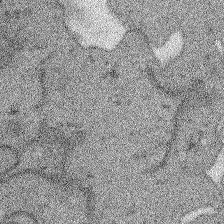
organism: Human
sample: HeLa cells